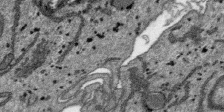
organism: Human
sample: Lung epithelial cells, uninfected (mock) control